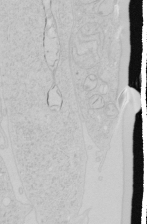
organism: Human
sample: Mitochondria in HCT116 cells